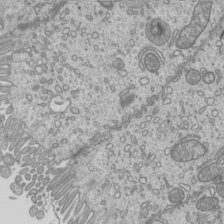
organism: Mouse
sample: Cilia; mouse epididymis